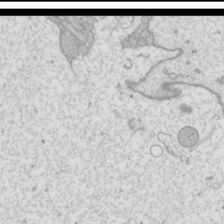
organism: Mouse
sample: Cilia; mouse epididymis